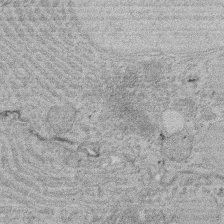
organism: Rat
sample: Salivary granule